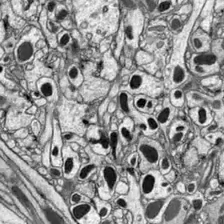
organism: Drosophila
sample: Optic lobe